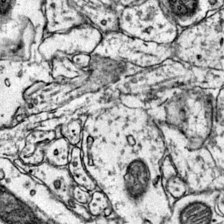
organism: Mouse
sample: Primary visual cortex